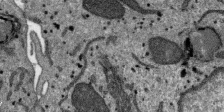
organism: Human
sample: Lung epithelial cells, uninfected (mock) control